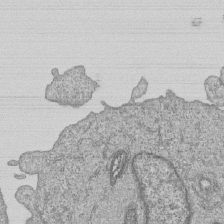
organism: Human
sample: MDA-MB-231 cells